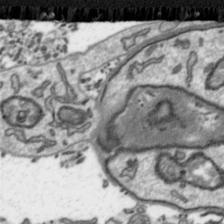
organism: Toxoplasma gondii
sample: Parasites in a vacuole inside a host cell